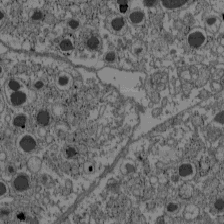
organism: C57BL Mouse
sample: Pancreatic islet